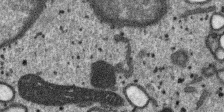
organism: Human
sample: Lung epithelial cells infected with SARS-CoV-2